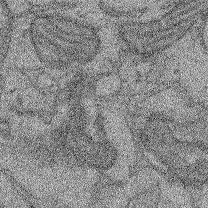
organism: Human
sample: HeLa cells